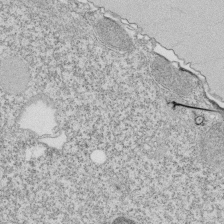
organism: Tetrahymena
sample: Cilia in tetrahymena